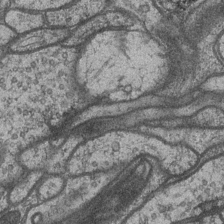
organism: Drosophila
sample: Optic medulla